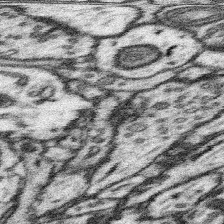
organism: Mouse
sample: Somatosensory cortex neuropil